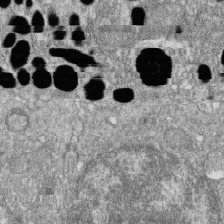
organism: Zebrafish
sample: Cilia; retinal pigment epithelium